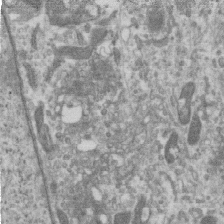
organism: Human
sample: Centriole in RPE cells